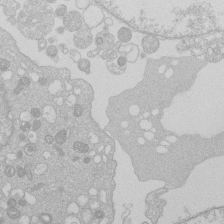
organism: Human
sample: Macrophage cells